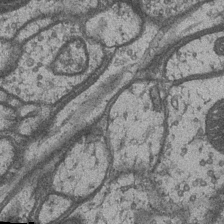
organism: Drosophila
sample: Optic medulla